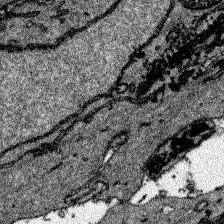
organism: Zebrafish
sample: Larval olfactory bulb